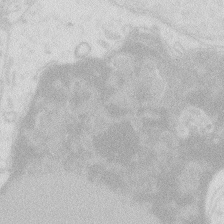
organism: Zebrafish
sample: Macrophage